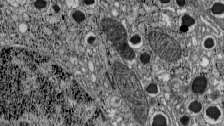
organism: C57BL Mouse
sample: Pancreatic islet